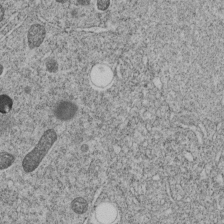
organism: C. elegans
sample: C. elegans embryo early stage